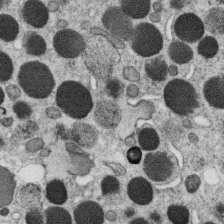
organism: C. elegans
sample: C. elegans oocyte; sperm cells